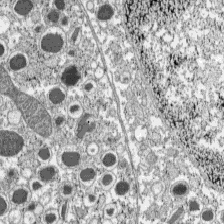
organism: C57BL Mouse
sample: Pancreatic islet